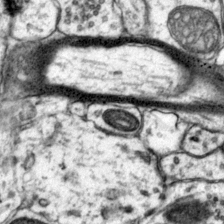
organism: Mouse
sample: Primary visual cortex